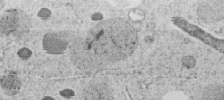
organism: C. elegans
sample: C. elegans embryo early stage